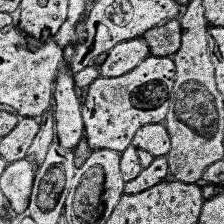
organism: Human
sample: Temporal Lobe